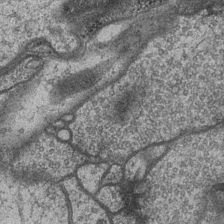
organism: Drosophila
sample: Optic medulla